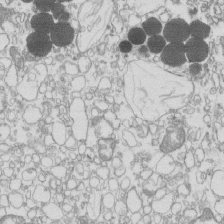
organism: Mouse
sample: Macrophages